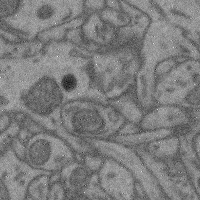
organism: Mouse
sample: Cerebral cortex